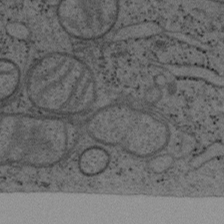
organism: Human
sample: HeLa cells